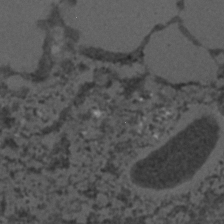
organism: C. elegans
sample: C. elegans embryo